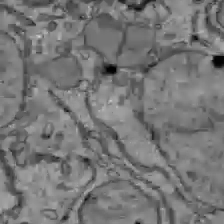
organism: C57BL Mouse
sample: Liver